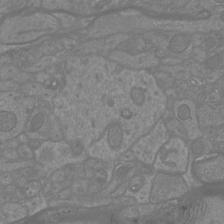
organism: Mouse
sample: Cortical neurons